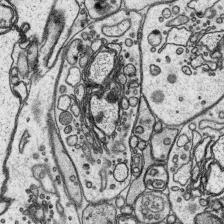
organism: Platynereis dumerilii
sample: Parapodia